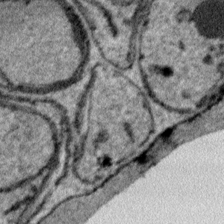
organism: Plasmodium falciparum